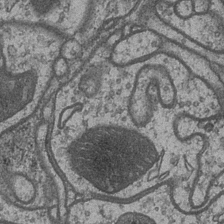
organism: Drosophila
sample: Optic medulla